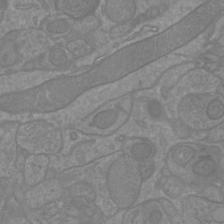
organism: Mouse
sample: Cortical neurons